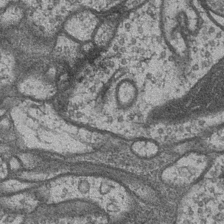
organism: Drosophila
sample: Optic medulla